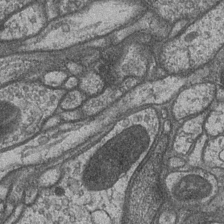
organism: Drosophila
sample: Optic medulla